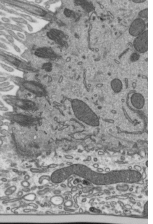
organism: Mouse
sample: Mouse epididymis efferent ductule cilia